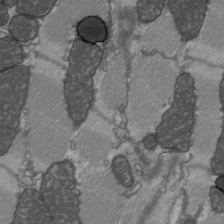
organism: C57BL Mouse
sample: Heart